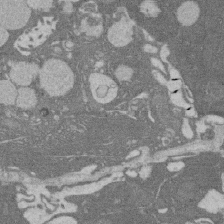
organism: Rat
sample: Salivary granule